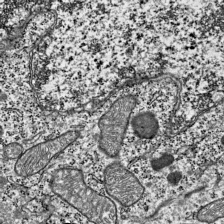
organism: Mouse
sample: Visual Cortex